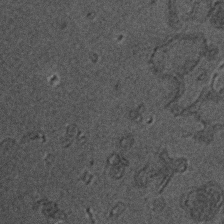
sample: Trachea